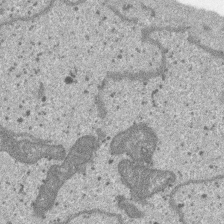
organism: Human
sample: Lung epithelial cells infected with SARS-CoV-2